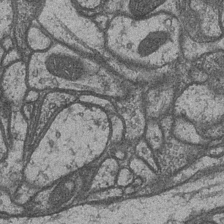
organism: Drosophila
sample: Optic medulla